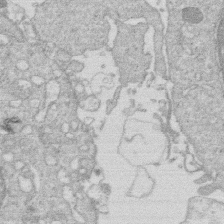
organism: Human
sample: Macrophage cells